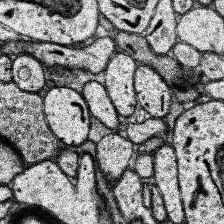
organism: Human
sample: Temporal Lobe